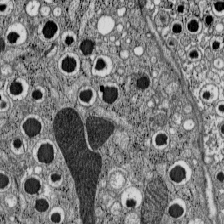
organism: C57BL Mouse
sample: Pancreatic islet